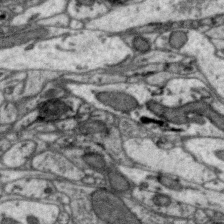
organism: Zebra finch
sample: Brain